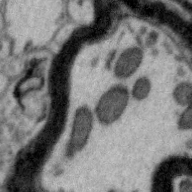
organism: Zebra finch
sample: Brain